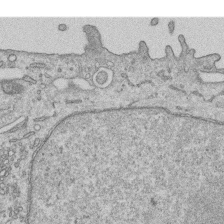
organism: Human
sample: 1205lu cells